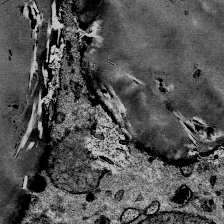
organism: Mouse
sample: Mouse Salivary gland